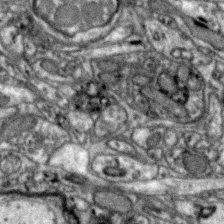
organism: Zebra finch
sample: Brain